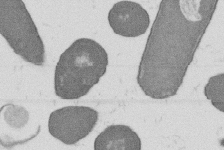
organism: B. subtilis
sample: Bacterial spore